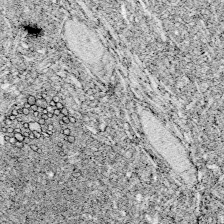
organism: Zebrafish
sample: Whole-Brain